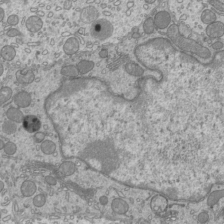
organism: Mouse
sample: Cilia; mouse epididymis